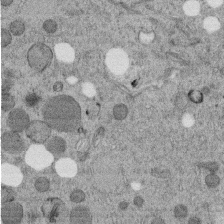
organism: C. elegans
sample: C. elegans embryo early stage